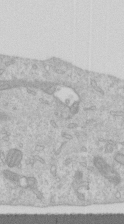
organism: Human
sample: Centriole in RPE cells